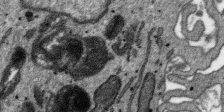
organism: Human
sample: Lung epithelial cells, uninfected (mock) control